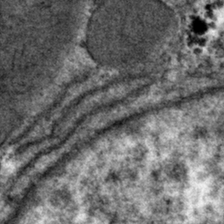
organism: Mouse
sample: Mouse hepatocytes